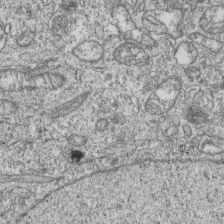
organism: Human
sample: HeLa cell HIV synapse